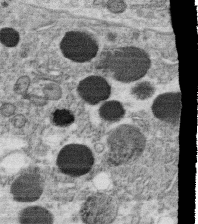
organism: C. elegans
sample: C. elegans oocyte; sperm cells